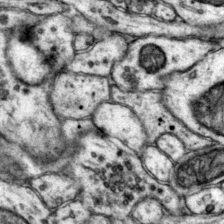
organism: Mouse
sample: Primary visual cortex